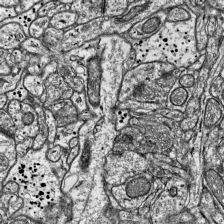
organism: Mouse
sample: Visual Cortex